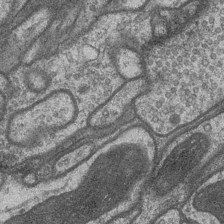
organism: Drosophila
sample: Optic medulla